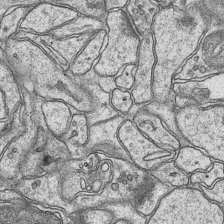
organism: Mouse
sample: CA1 Hippocampus